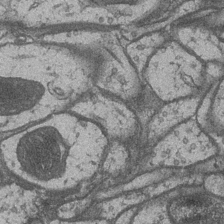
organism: Drosophila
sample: Optic medulla